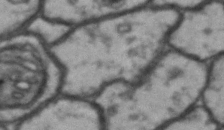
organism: Drosophila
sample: Brain